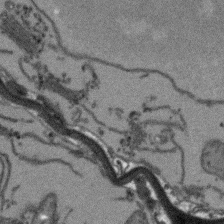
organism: Arabidopsis thaliana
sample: Root tip